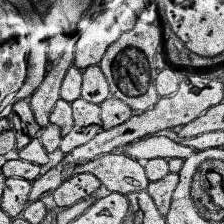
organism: Human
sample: Temporal Lobe